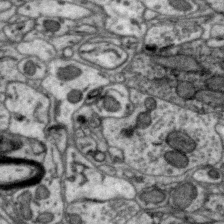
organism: Zebra finch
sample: Brain